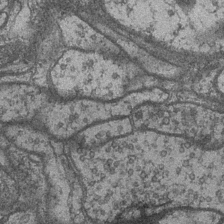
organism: Drosophila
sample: Optic medulla